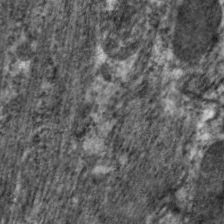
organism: C. elegans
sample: Pharynx